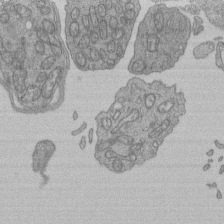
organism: Human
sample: Retinal organoid Rod and Cone cells